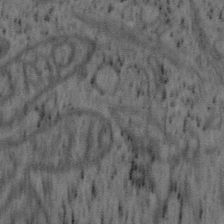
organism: Human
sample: HeLa cells